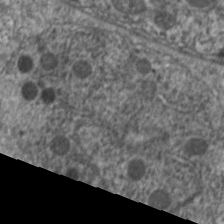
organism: C. elegans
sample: Pharynx